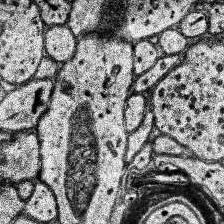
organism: Human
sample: Temporal Lobe